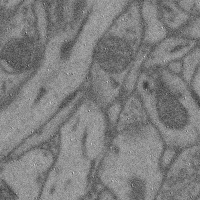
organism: Mouse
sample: Cerebral cortex